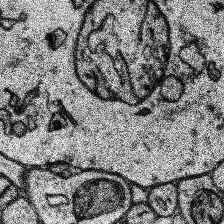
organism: Human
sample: Temporal Lobe